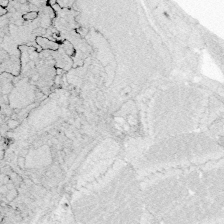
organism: Zebrafish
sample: Whole-Brain